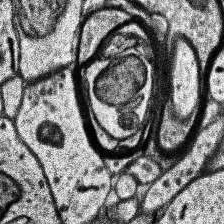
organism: Human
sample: Temporal Lobe